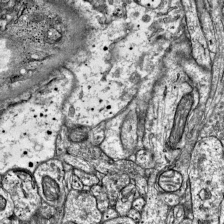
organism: Mouse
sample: Visual Cortex